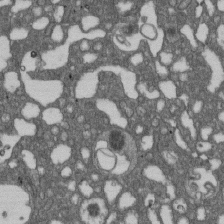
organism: Drosophila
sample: Nephrocyte